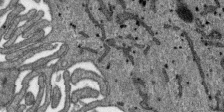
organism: Human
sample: Lung epithelial cells, uninfected (mock) control